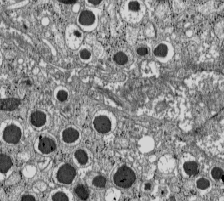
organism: C57BL Mouse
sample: Pancreatic islet